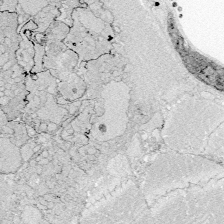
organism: Zebrafish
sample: Whole-Brain